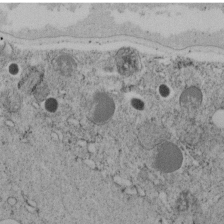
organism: C. elegans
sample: C. elegans embryo early stage